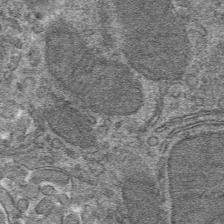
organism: Mouse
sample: Mouse hepatocytes